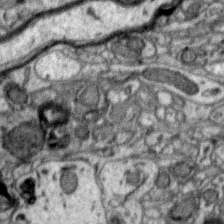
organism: Zebra finch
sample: Brain